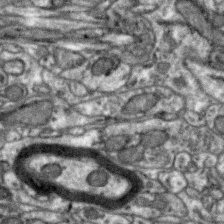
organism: Zebra finch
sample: Brain